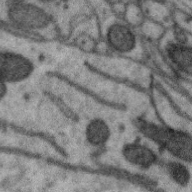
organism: Zebra finch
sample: Brain